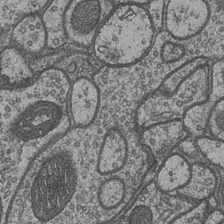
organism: Drosophila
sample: Optic medulla